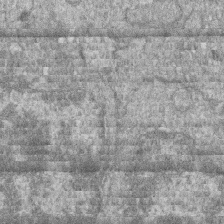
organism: Zebrafish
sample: Cilia; retinal pigment epithelium